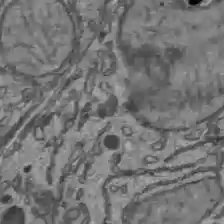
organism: C57BL Mouse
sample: Liver